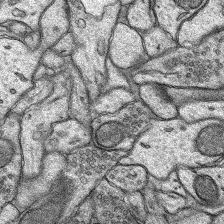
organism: Rat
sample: Hippocampus